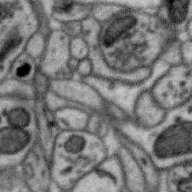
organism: Zebra finch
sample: Brain